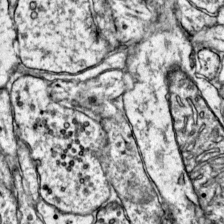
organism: Mouse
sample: Primary visual cortex